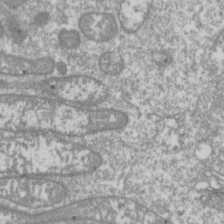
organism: Drosophila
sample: Cell division; meiosis; drosophila spermatocytes